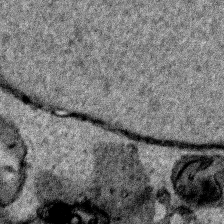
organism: Human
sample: Mitochondria in HCT116 cells